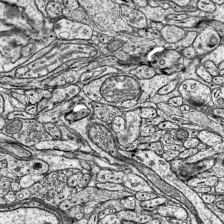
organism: Mouse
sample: Visual Cortex